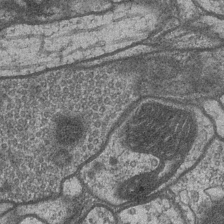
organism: Drosophila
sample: Optic medulla